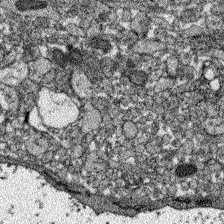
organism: Zebrafish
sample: Larval olfactory bulb